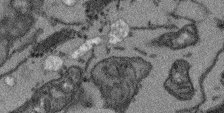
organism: Arabidopsis thaliana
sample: Root tip